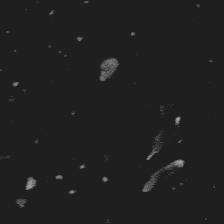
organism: Platynereis dumerilii